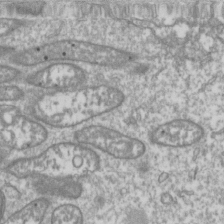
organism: Drosophila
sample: Cell division; meiosis; drosophila spermatocytes